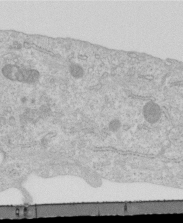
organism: Human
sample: Centriole in RPE cells